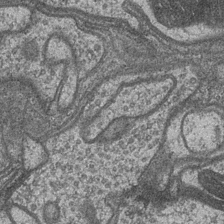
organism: Drosophila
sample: Optic medulla